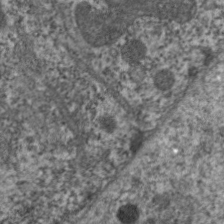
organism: C. elegans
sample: Pharynx